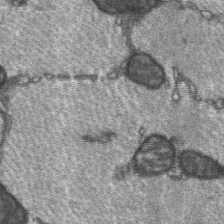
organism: C57BL Mouse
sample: Soleus